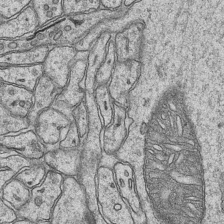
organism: Mouse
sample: CA1 Hippocampus